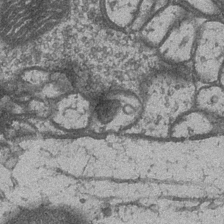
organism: Drosophila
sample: Optic medulla